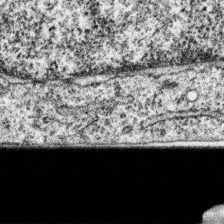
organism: Human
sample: HeLa cells